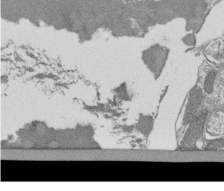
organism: Tetrahymena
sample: Cilia in tetrahymena